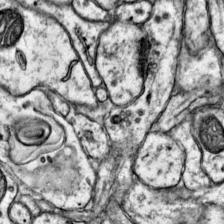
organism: Mouse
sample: Primary visual cortex